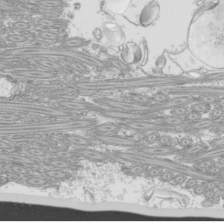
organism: Mouse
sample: Cilia; mouse epididymis